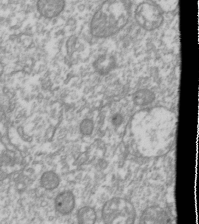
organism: Drosophila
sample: Cell division; meiosis; drosophila spermatocytes